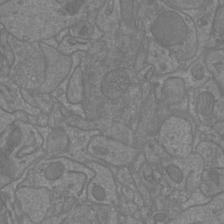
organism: Mouse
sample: Cortical neurons